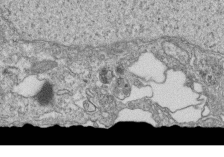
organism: Human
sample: HeLa cell HIV synapse